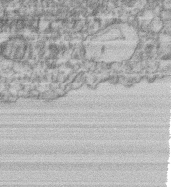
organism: Mouse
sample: T cell stromal cell synapse